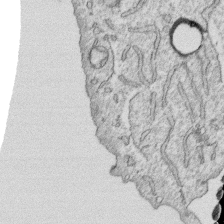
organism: Human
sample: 1205lu cells